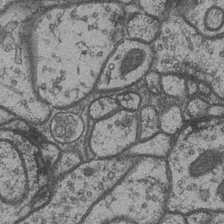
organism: Drosophila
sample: Optic medulla